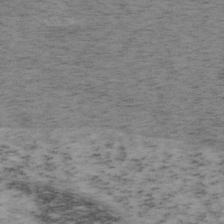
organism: Mouse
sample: OT-I killer T cells with ID8 ovarian cancer cells